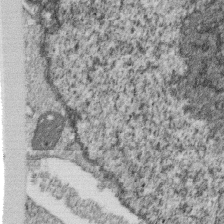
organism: African green monkey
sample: Vero E6 cells infected with SARS-CoV-2